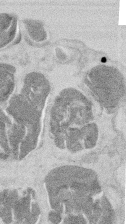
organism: Mouse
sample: T cell stromal cell synapse